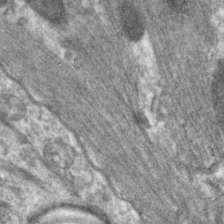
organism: C. elegans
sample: Pharynx